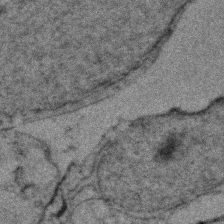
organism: Zebrafish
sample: Zebrafish embryo